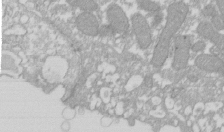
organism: Xenopus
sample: Cilia; centrioles in frog embryo cells